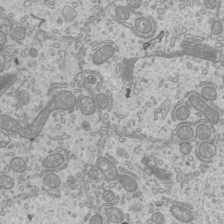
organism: Mouse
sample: Cilia; mouse epididymis